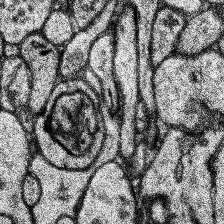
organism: Human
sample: Temporal Lobe